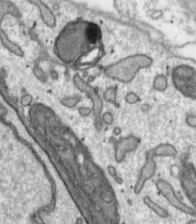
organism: Toxoplasma gondii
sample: Parasites in a vacuole inside a host cell